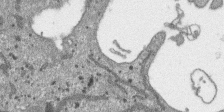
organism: Human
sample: Lung epithelial cells infected with SARS-CoV-2